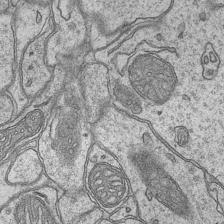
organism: Mouse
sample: CA1 Hippocampus